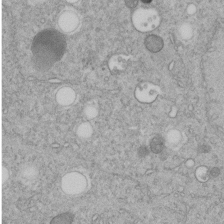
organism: C. elegans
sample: C. elegans embryo early stage